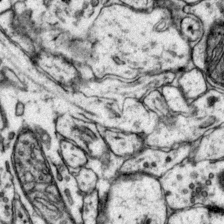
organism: Mouse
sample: Primary visual cortex